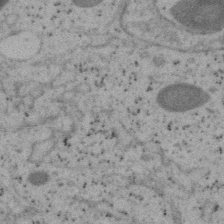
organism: Human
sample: HeLa cells